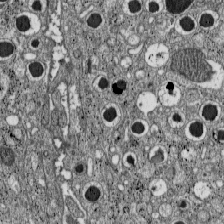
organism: C57BL Mouse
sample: Pancreatic islet